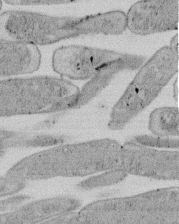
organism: E. coli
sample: Bacterial nucleoid